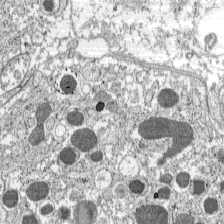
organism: C57BL Mouse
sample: Pancreatic islet